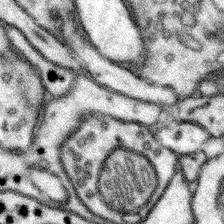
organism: Mouse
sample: Somatosensory cortex neuropil